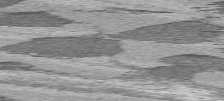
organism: C57BL Mouse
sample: Heart